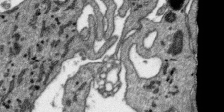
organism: Human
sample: Lung epithelial cells, uninfected (mock) control